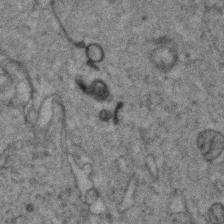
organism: Zebrafish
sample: Zebrafish embryo